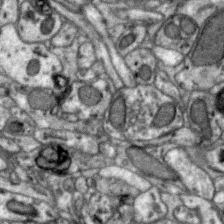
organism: Zebra finch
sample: Brain